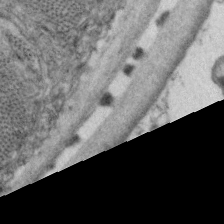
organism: C. elegans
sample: Pharynx